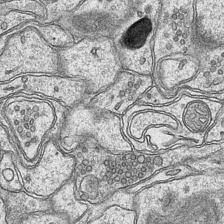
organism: Mouse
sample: CA1 Hippocampus